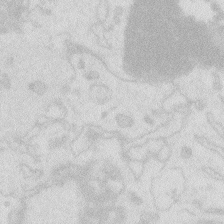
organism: Zebrafish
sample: Macrophage